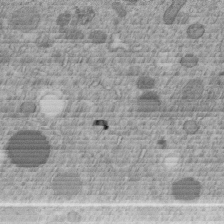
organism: C. elegans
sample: C. elegans embryo early stage